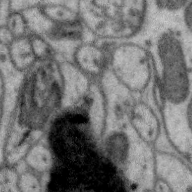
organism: Zebra finch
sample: Brain